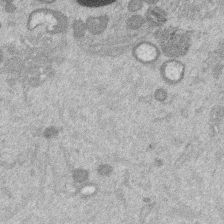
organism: Mouse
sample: Dividing mouse embryo 1 cell stage